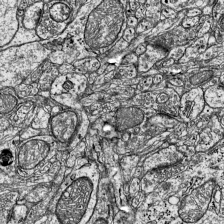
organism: Mouse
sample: Visual Cortex